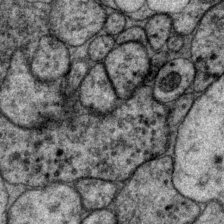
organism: P. pacificus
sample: Pharynx